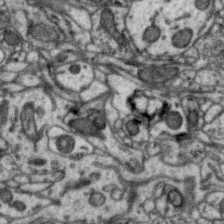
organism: Zebra finch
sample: Brain